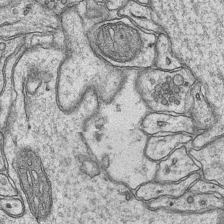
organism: Mouse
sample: CA1 Hippocampus